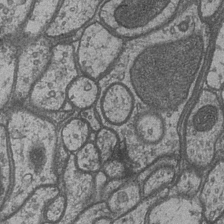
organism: Drosophila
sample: Optic medulla